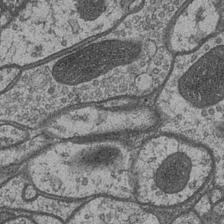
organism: Drosophila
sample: Optic medulla